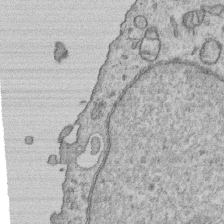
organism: Human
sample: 1205lu cells